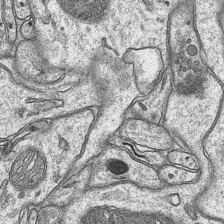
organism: Mouse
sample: CA1 Hippocampus